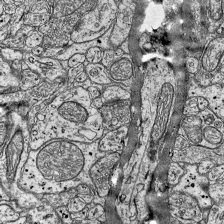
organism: Mouse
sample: Visual Cortex